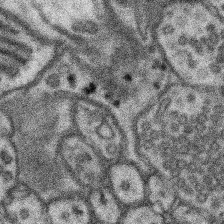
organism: Mouse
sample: Somatosensory cortex neuropil